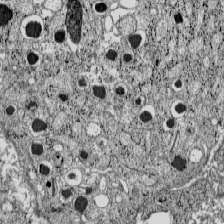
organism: C57BL Mouse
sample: Pancreatic islet